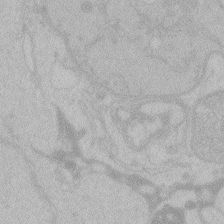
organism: Zebrafish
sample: Macrophage infected with Toxoplasma gondii